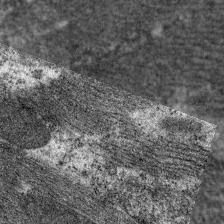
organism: C. elegans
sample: Pharynx